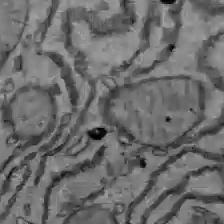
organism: C57BL Mouse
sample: Liver